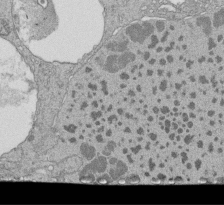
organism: Tetrahymena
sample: Cilia in tetrahymena